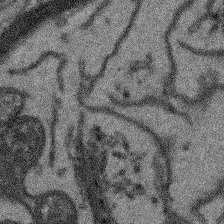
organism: Arabidopsis thaliana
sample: Root tip